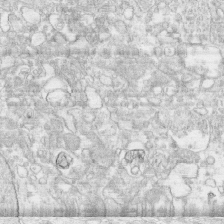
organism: Human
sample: CRL-1474